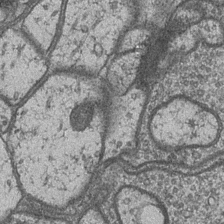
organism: Drosophila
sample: Optic medulla